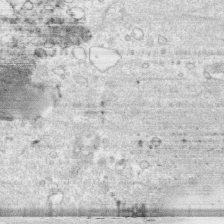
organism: Human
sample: CRL-1474